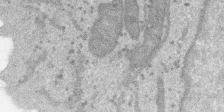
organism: Human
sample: Lung epithelial cells infected with SARS-CoV-2